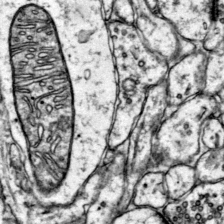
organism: Mouse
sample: Primary visual cortex